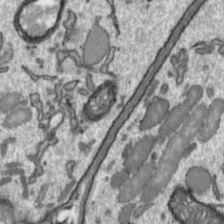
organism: Toxoplasma gondii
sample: Parasites in a vacuole inside a host cell